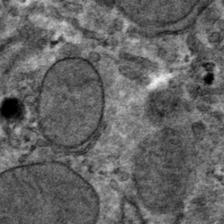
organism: Mouse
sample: Mouse hepatocytes